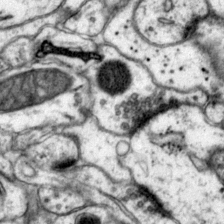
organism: Mouse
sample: Primary visual cortex